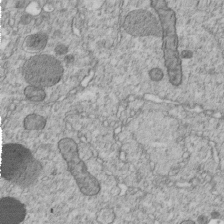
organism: C. elegans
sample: C. elegans embryo early stage